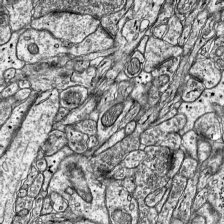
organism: Mouse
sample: Visual Cortex